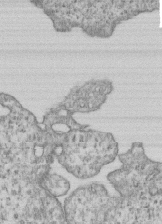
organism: Human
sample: MDA-MB-231 cells